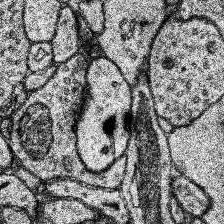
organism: Human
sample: Temporal Lobe